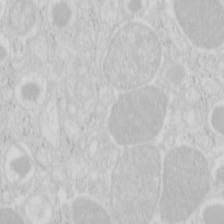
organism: Mouse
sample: Pancreas